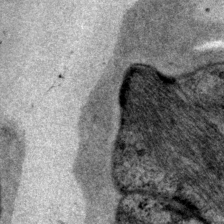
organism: P. pacificus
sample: Pharynx